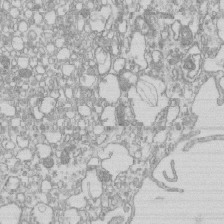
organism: Mouse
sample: Macrophages